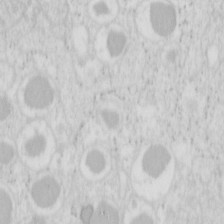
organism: Mouse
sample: Pancreas